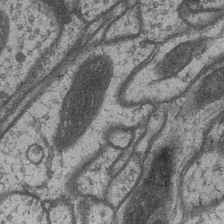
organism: Drosophila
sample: Optic medulla